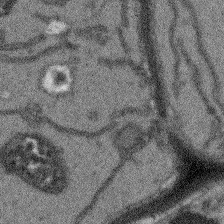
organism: Arabidopsis thaliana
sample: Root tip